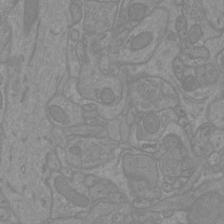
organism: Mouse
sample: Cortical neurons